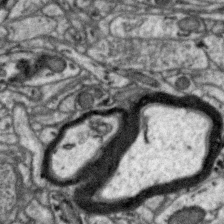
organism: Zebra finch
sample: Brain